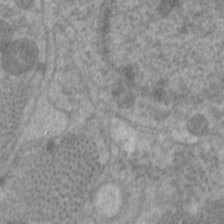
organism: C. elegans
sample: Pharynx